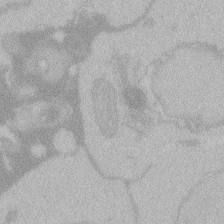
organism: Zebrafish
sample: Macrophage infected with Toxoplasma gondii